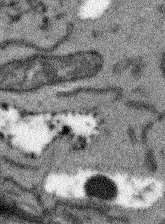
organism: Arabidopsis thaliana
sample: Root tip